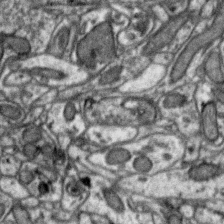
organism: Zebra finch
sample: Brain